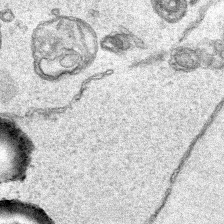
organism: Human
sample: Mitochondria in HCT116 cells